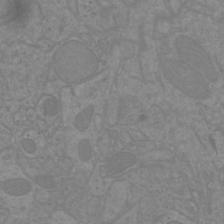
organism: Mouse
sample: Cortical neurons